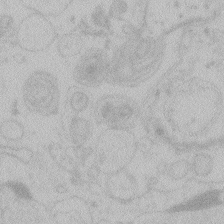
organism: Zebrafish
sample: Macrophage infected with Toxoplasma gondii